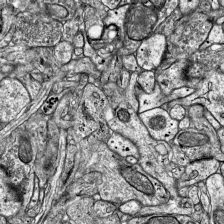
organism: Mouse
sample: Visual Cortex